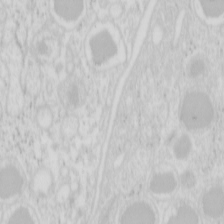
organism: Mouse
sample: Pancreas